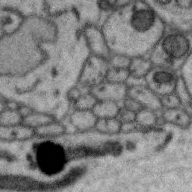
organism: Zebra finch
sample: Brain